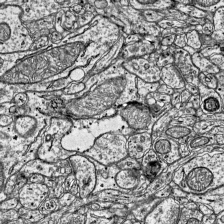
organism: Mouse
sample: Visual Cortex